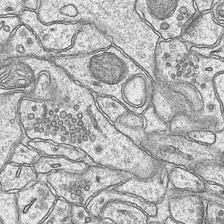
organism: Mouse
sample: CA1 Hippocampus